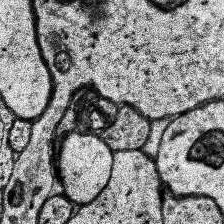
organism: Human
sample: Temporal Lobe